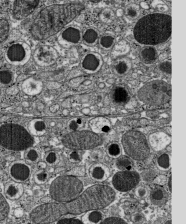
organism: C57BL Mouse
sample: Pancreatic islet